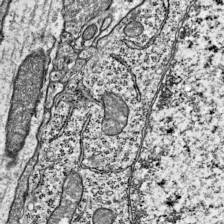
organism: Mouse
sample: Visual Cortex